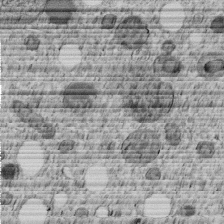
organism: C. elegans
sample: C. elegans embryo early stage